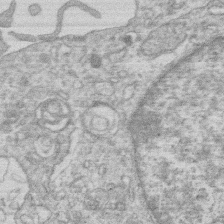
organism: Human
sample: Macrophage cells